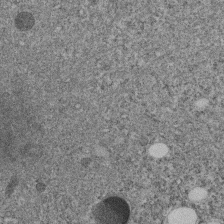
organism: C. elegans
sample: C. elegans embryo early stage